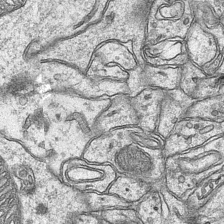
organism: Mouse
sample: CA1 Hippocampus